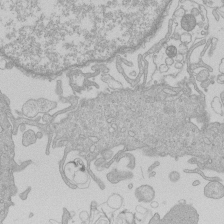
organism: Human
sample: Macrophage cells